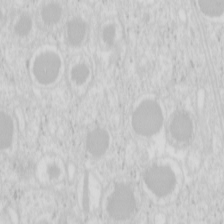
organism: Mouse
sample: Pancreas